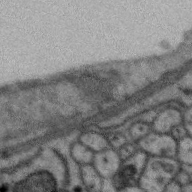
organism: Zebra finch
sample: Brain